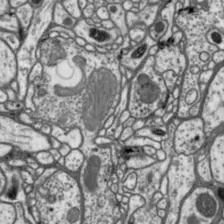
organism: Drosophila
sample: Protocerebral bridge